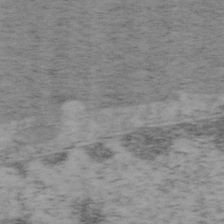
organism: Mouse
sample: OT-I killer T cells with ID8 ovarian cancer cells